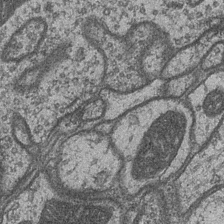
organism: Drosophila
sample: Optic medulla